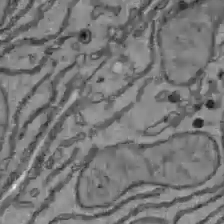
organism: C57BL Mouse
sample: Liver